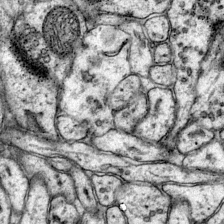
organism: Mouse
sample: Primary visual cortex